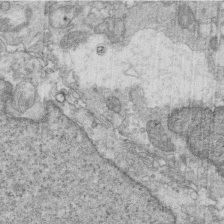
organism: Mouse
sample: Multiciliated cells